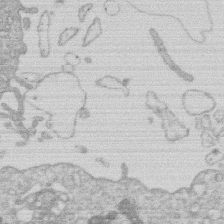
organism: Human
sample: Macrophage cells